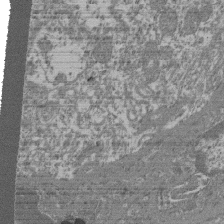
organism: Mouse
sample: Glomerulus